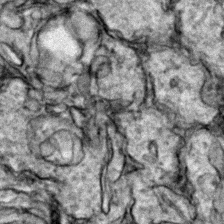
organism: Zebrafish